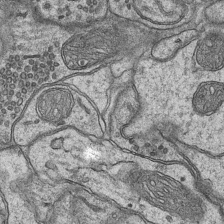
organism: Mouse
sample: CA1 Hippocampus